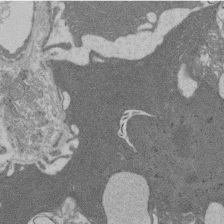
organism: Rat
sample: Salivary granule